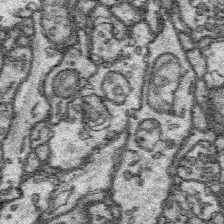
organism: Platynereis dumerilii